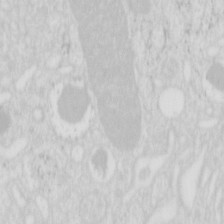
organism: Mouse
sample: Pancreas